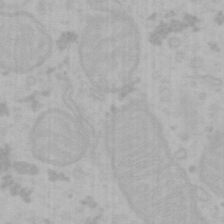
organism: Mouse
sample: Choroid plexus